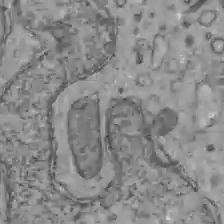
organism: C57BL Mouse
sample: Liver